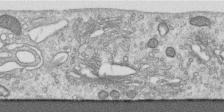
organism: Human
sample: Centriole in RPE cells